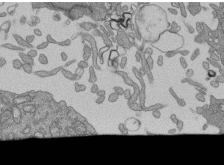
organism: Human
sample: Retinal organoid Rod and Cone cells